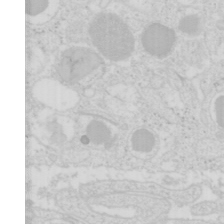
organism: Mouse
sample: Pancreas